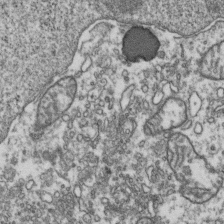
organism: Human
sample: Activated Jurkat CD4+ T cells